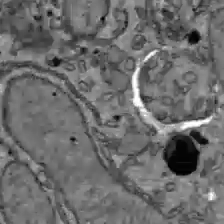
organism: C57BL Mouse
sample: Liver